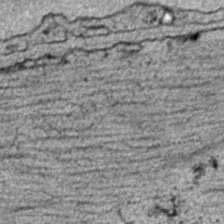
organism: C. elegans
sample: C. elegans embryo